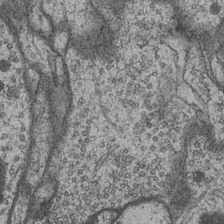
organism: Drosophila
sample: Optic medulla